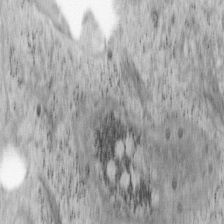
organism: Human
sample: HeLa cells